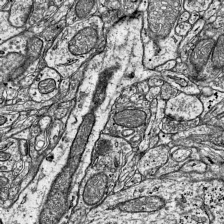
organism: Mouse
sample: Visual Cortex